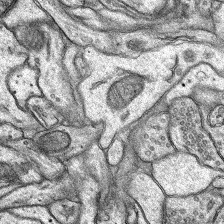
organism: Rat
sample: Hippocampus